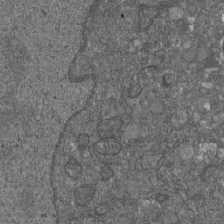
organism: Drosophila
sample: Nephrocyte